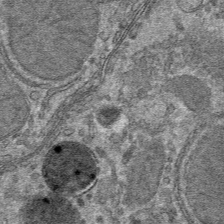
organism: Mouse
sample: Mouse hepatocytes